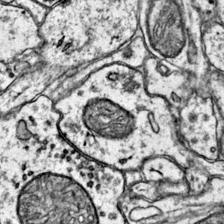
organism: Mouse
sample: Primary visual cortex